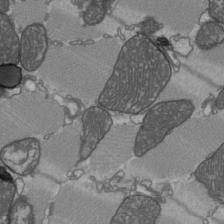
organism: C57BL Mouse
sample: Heart